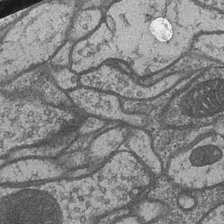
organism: Drosophila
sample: Optic medulla